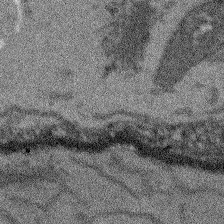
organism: Arabidopsis thaliana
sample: Root tip